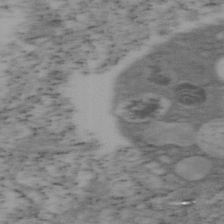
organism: Mouse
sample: OT-I killer T cells with ID8 ovarian cancer cells